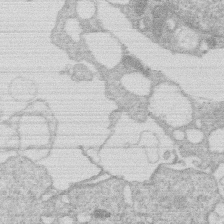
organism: Human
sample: Macrophage cells